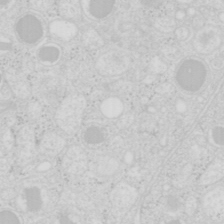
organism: Mouse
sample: Pancreas